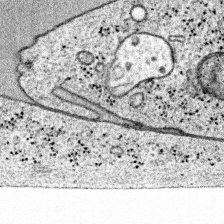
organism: Human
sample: HeLa cells